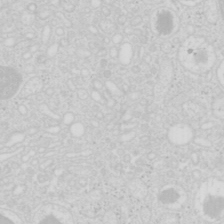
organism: Mouse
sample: Pancreas